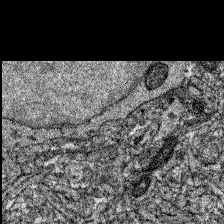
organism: Zebrafish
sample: Larval olfactory bulb